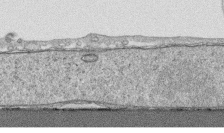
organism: Human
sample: CRL-1474